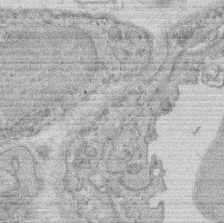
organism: Rat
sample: Salivary granule